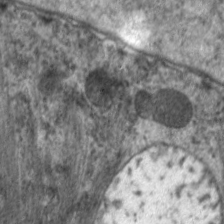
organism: C. elegans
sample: Pharynx